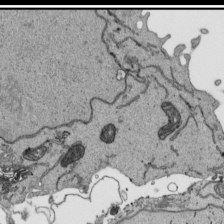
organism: Human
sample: Mitochondria in HCT116 cells